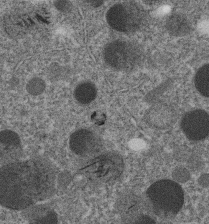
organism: C. elegans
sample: C. elegans embryo early stage